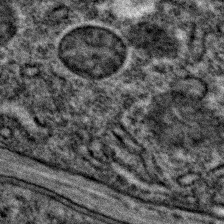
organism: C. elegans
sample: C. elegans embryo